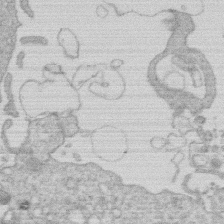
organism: Human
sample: Macrophage cells